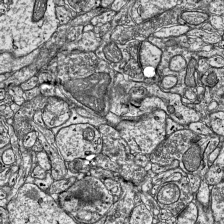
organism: Mouse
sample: Visual Cortex